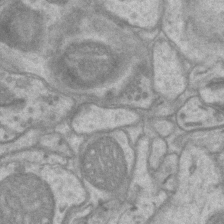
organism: Mouse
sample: CA1 Hippocampus